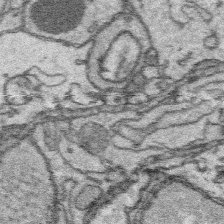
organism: Platynereis dumerilii